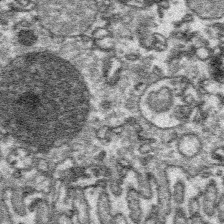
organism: Platynereis dumerilii